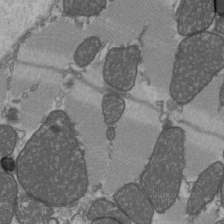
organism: C57BL Mouse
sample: Heart